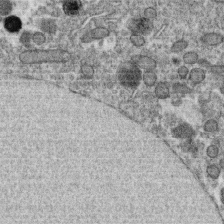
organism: C. elegans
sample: C. elegans oocyte; sperm cells